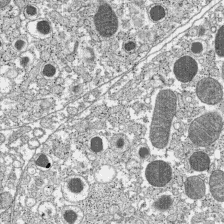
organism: C57BL Mouse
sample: Pancreatic islet